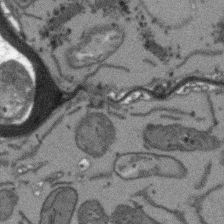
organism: Arabidopsis thaliana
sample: Root tip